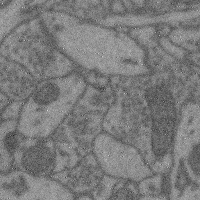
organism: Mouse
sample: Cerebral cortex